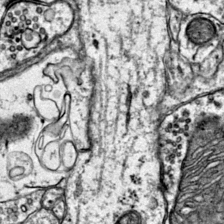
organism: Mouse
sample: Primary visual cortex